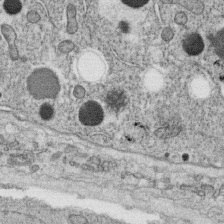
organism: C. elegans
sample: C. elegans oocyte; sperm cells